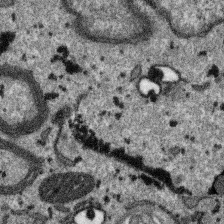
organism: Human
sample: Lung epithelial cells infected with SARS-CoV-2